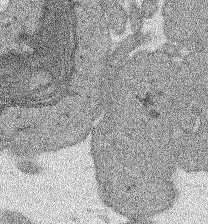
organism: Human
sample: HeLa cells